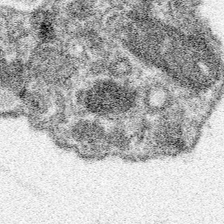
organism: Spongilla lacustris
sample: Neuroid cell